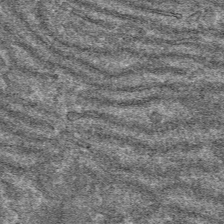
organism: Mouse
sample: Mouse hepatocytes